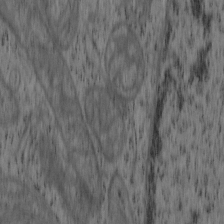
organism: Human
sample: HeLa cells